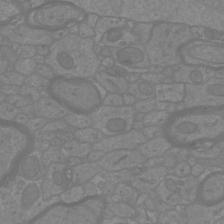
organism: Mouse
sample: Cortical neurons